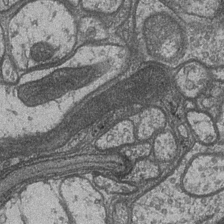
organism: Drosophila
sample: Optic medulla